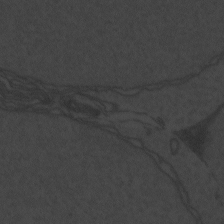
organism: Zebrafish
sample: Macrophage infected with Toxoplasma gondii